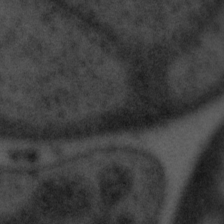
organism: Tuwongella immobilis